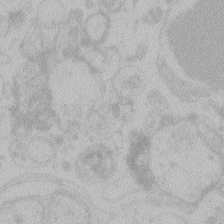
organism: Zebrafish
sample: Macrophage infected with Toxoplasma gondii